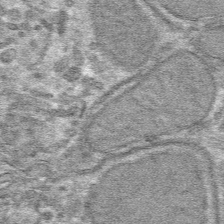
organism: Mouse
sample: Mouse hepatocytes